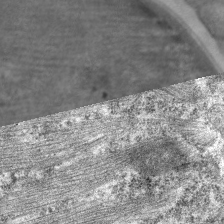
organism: C. elegans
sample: Pharynx